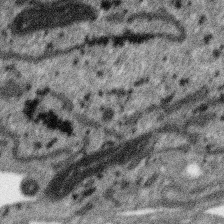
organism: Human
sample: Lung epithelial cells infected with SARS-CoV-2